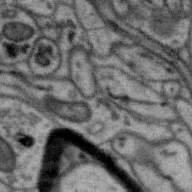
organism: Zebra finch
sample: Brain